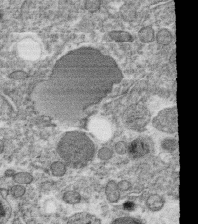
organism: C. elegans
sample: C. elegans oocyte; sperm cells